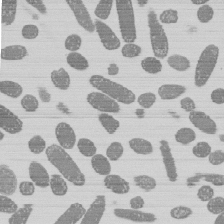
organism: E. coli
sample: Bacterial nucleoid